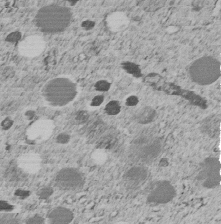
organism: C. elegans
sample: C. elegans embryo early stage